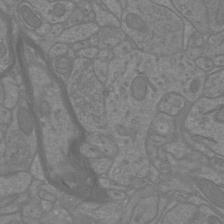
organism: Mouse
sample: Cortical neurons